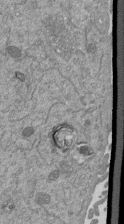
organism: Mouse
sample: ED-1 cell nuclei; centrioles